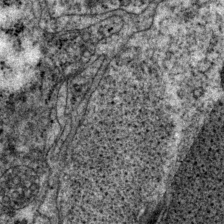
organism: P. pacificus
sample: Pharynx